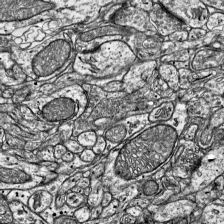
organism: Mouse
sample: Visual Cortex